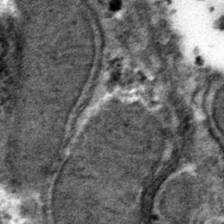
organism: Mouse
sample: Mouse hepatocytes